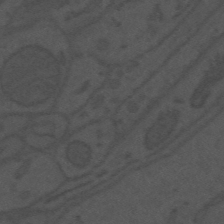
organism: Mouse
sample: Suprachiasmatic nucleus